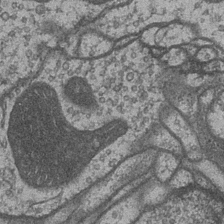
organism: Drosophila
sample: Optic medulla